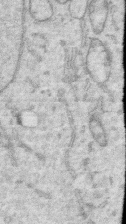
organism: Human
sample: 1205lu cells